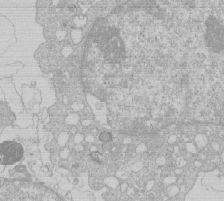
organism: Human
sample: Macrophage cells